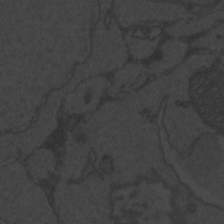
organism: Zebrafish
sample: Macrophage infected with Toxoplasma gondii